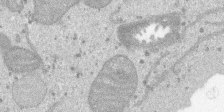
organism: Human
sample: Lung epithelial cells infected with SARS-CoV-2